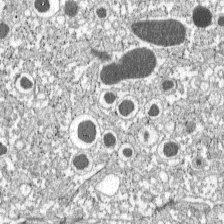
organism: C57BL Mouse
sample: Pancreatic islet